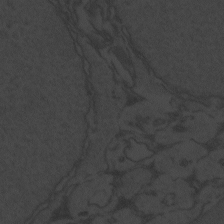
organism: Zebrafish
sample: Macrophage infected with Toxoplasma gondii